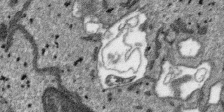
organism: Human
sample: Lung epithelial cells, uninfected (mock) control